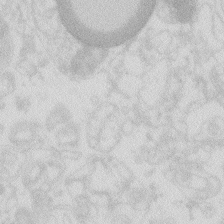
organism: Zebrafish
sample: Macrophage